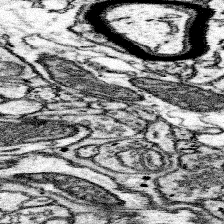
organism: Mouse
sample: Somatosensory cortex neuropil